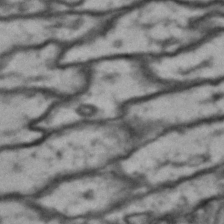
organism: Drosophila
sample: Brain